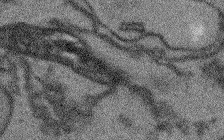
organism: Arabidopsis thaliana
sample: Root tip